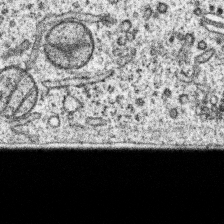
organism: Human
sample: HeLa cells